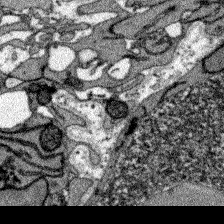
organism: Zebrafish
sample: Larval olfactory bulb